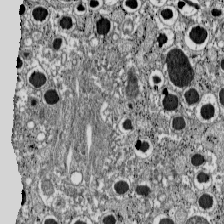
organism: C57BL Mouse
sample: Pancreatic islet